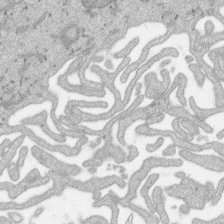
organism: Human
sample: Lung epithelial cells infected with SARS-CoV-2